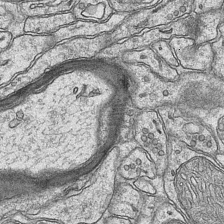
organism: Mouse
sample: CA1 Hippocampus